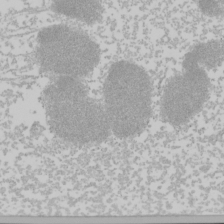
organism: Mouse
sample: Cancer cell death in ED-1 cells